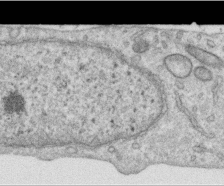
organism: Human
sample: Centriole in RPE cells